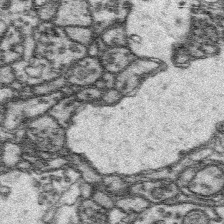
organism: Platynereis dumerilii